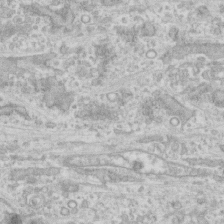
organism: Human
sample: CRL-1474